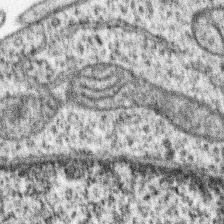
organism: Human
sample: HeLa cells